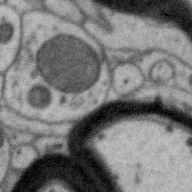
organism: Zebra finch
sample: Brain